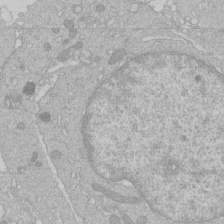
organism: Human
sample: Macrophage cells